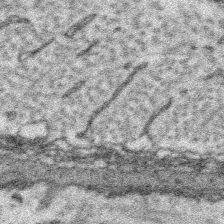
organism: Platynereis dumerilii